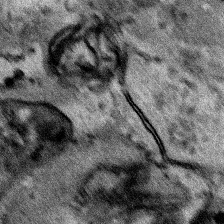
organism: Human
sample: Mitochondria in HCT116 cells